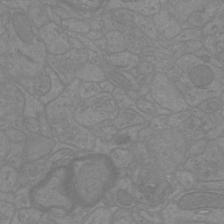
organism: Mouse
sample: Cortical neurons